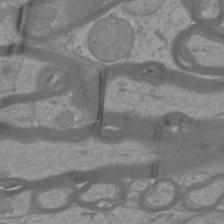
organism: Mouse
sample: Cortical neurons